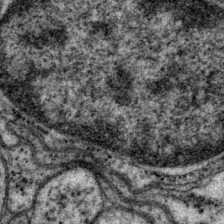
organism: P. pacificus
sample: Pharynx